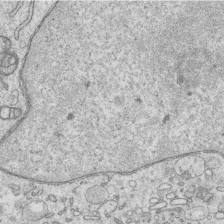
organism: Human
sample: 1205lu cells